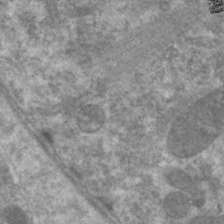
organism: C. elegans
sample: Pharynx